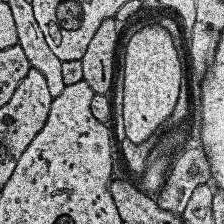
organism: Human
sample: Temporal Lobe